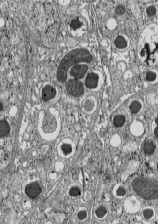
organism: C57BL Mouse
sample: Pancreatic islet